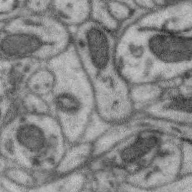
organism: Zebra finch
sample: Brain